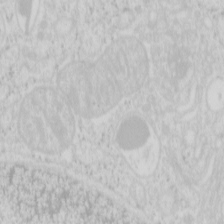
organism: Mouse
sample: Pancreas